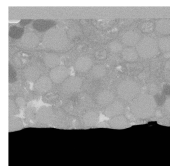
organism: C. elegans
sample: C. elegans oocyte; sperm cells